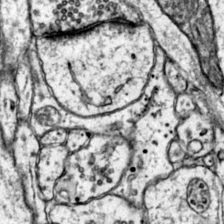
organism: Mouse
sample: Primary visual cortex